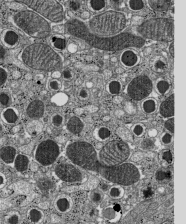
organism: C57BL Mouse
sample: Pancreatic islet